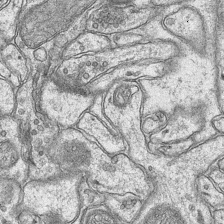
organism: Mouse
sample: CA1 Hippocampus